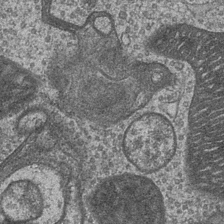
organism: Drosophila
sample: Optic medulla